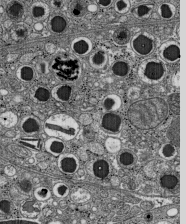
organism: C57BL Mouse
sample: Pancreatic islet